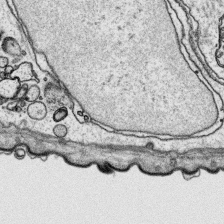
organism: Platynereis dumerilii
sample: Parapodia